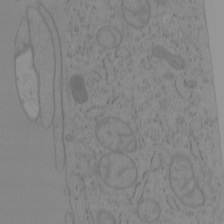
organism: Human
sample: HeLa cells